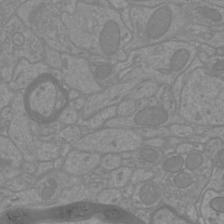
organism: Mouse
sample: Cortical neurons